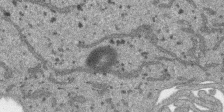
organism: Human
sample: Lung epithelial cells infected with SARS-CoV-2